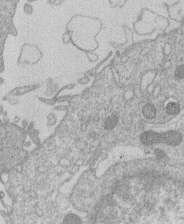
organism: Human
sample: Macrophage cells